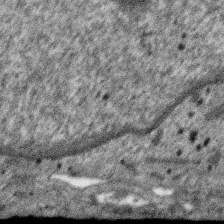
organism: Human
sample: Lung epithelial cells infected with SARS-CoV-2